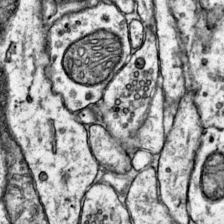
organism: Mouse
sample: Primary visual cortex